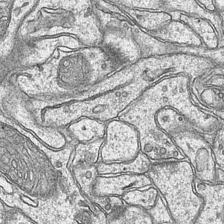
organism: Mouse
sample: CA1 Hippocampus